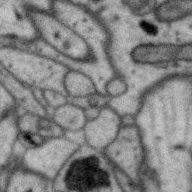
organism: Zebra finch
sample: Brain